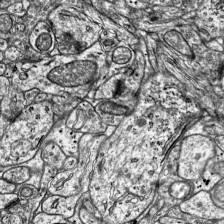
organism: Mouse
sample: Visual Cortex